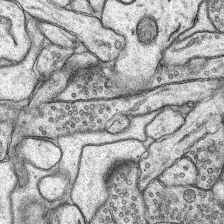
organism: Rat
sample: Hippocampus